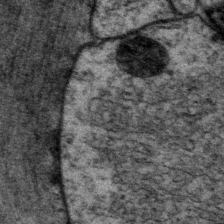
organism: P. pacificus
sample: Pharynx